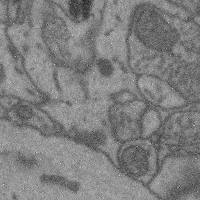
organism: Mouse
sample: Cerebral cortex